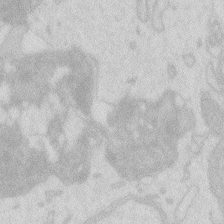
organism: Zebrafish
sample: Macrophage